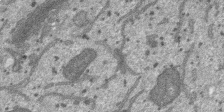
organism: Human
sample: Lung epithelial cells infected with SARS-CoV-2